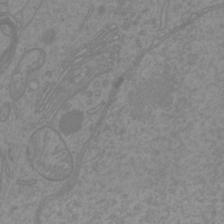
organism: Mouse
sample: Cortical neurons